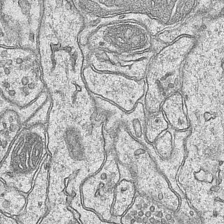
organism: Mouse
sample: CA1 Hippocampus